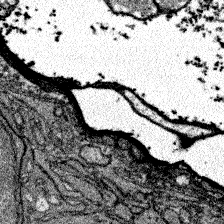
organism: Zebrafish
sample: Larval olfactory bulb